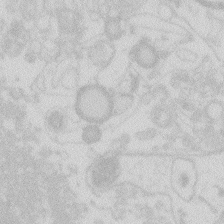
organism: Zebrafish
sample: Macrophage